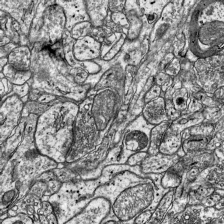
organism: Mouse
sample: Visual Cortex